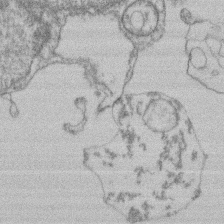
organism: Mouse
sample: T cell stromal cell synapse